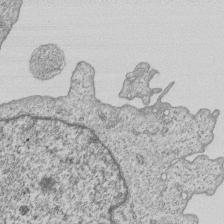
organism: Human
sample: MDA-MB-231 cells